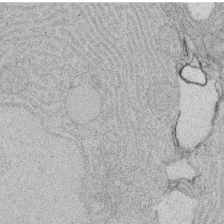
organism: Rat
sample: Salivary granule